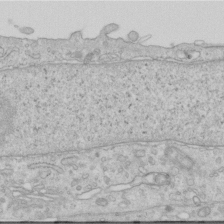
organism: Human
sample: Centriole in RPE cells